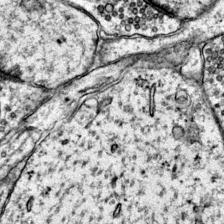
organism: Mouse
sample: Primary visual cortex